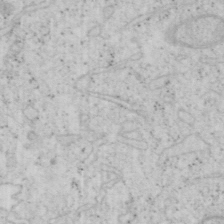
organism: Human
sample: HeLa cells